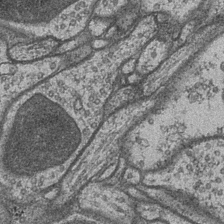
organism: Drosophila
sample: Optic medulla